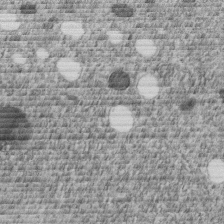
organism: C. elegans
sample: C. elegans embryo early stage